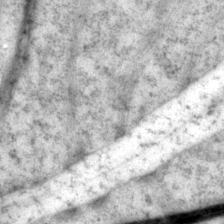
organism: P. pacificus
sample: Pharynx